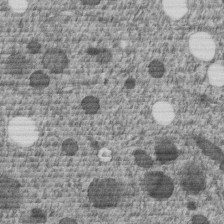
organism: C. elegans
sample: C. elegans embryo early stage